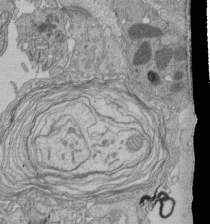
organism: Human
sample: Retinal organoid Rod and Cone cells